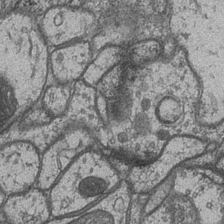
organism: Drosophila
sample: Optic medulla